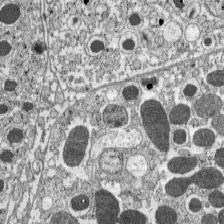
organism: C57BL Mouse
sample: Pancreatic islet